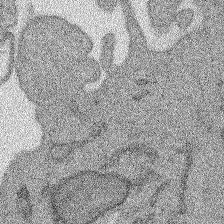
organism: Human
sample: HeLa cells